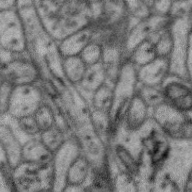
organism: Zebra finch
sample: Brain